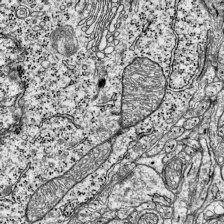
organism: Mouse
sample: Visual Cortex